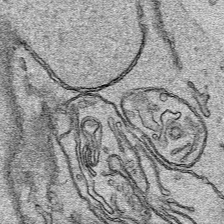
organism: Human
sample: Mitochondria in HCT116 cells